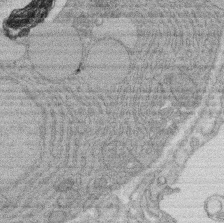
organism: Rat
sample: Salivary granule